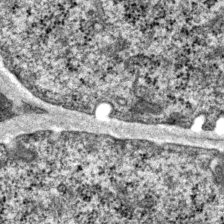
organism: P. pacificus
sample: Pharynx